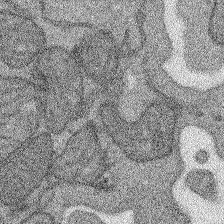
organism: Human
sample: HeLa cells